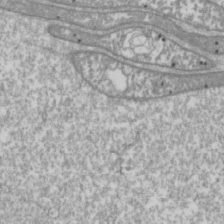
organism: Drosophila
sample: Cell division; meiosis; drosophila spermatocytes